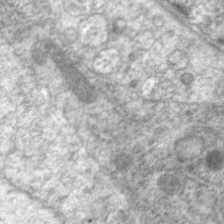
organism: C. elegans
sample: Pharynx